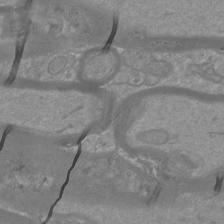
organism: Mouse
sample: Cortical neurons